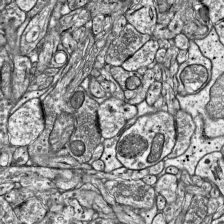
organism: Mouse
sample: Visual Cortex